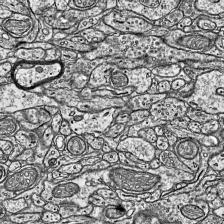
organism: Mouse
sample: Visual Cortex